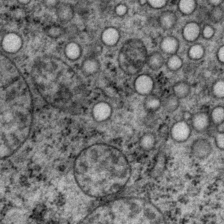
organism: P. pacificus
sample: Pharynx